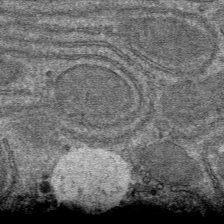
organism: Mouse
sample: Mouse hepatocytes